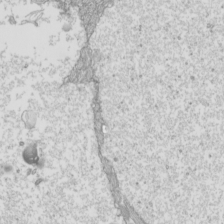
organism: Mouse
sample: Cilia; mouse epididymis